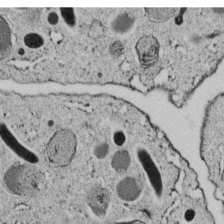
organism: C. elegans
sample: C. elegans embryo early stage